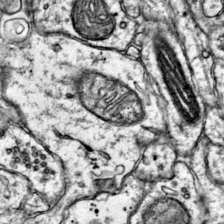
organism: Mouse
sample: Primary visual cortex